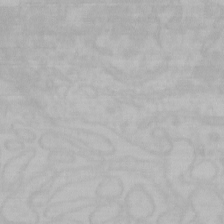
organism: Mouse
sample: Choroid plexus